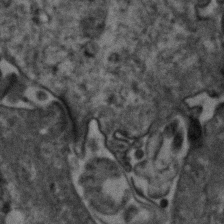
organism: Human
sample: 1205lu cells